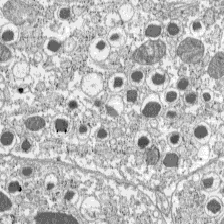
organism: C57BL Mouse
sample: Pancreatic islet